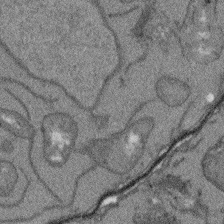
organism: Arabidopsis thaliana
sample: Root tip